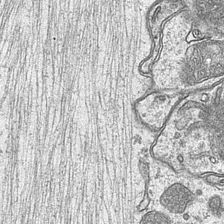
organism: Mouse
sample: CA1 Hippocampus